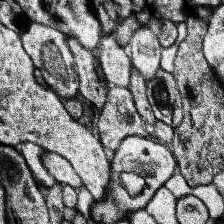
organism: Human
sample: Temporal Lobe